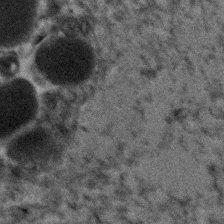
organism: Human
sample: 1205lu cells